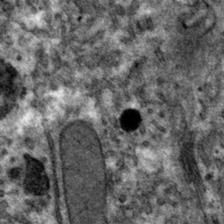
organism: Mouse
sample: Mouse hepatocytes